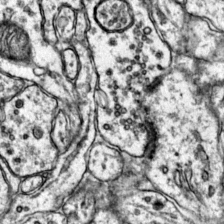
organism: Mouse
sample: Primary visual cortex